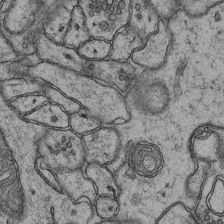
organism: Mouse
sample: CA1 Hippocampus